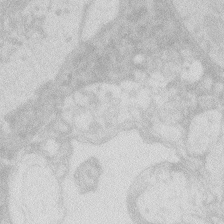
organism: Zebrafish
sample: Macrophage